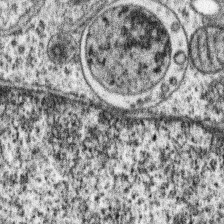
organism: Human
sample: HeLa cells